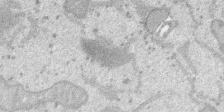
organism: Human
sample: Lung epithelial cells infected with SARS-CoV-2